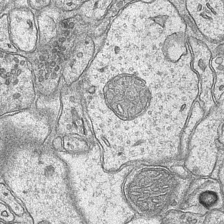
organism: Mouse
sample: CA1 Hippocampus